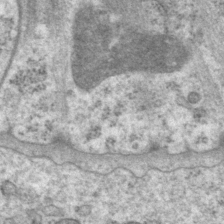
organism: P. pacificus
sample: Pharynx